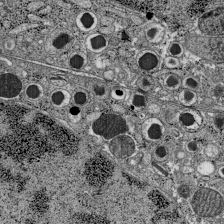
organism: C57BL Mouse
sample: Pancreatic islet